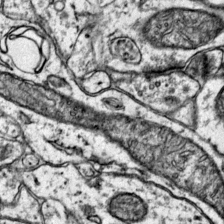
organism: Mouse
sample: Primary visual cortex